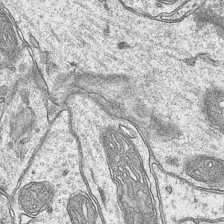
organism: Mouse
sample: CA1 Hippocampus